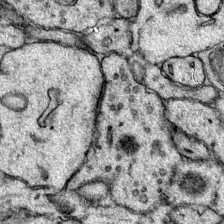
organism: Mouse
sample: Primary visual cortex